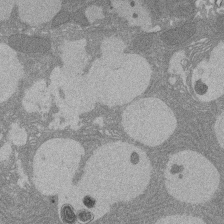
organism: Rat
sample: Salivary granule